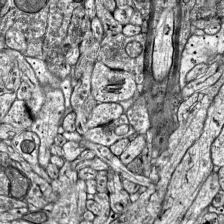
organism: Mouse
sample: Visual Cortex